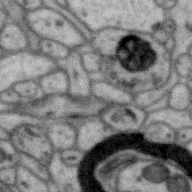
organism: Zebra finch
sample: Brain